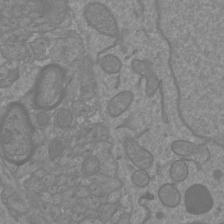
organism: Mouse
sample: Cortical neurons